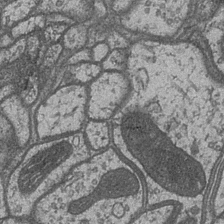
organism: Drosophila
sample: Optic medulla